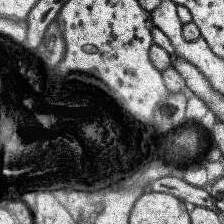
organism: Human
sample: Temporal Lobe